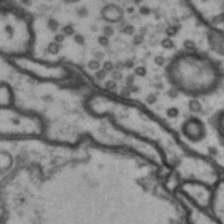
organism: Drosophila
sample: Brain